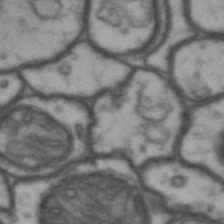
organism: Drosophila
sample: Brain